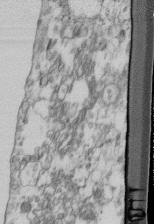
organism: Mouse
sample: Cilia; retinal pigment epithelium